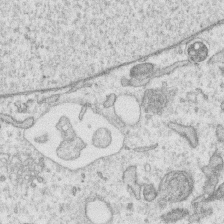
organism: Human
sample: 1205lu cells